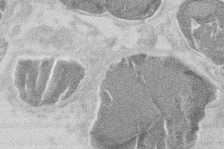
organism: Mouse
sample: T cell stromal cell synapse